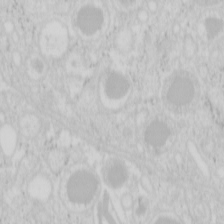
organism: Mouse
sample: Pancreas